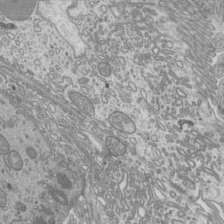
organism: Mouse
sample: Cilia; mouse epididymis